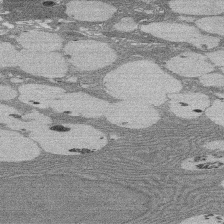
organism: Rat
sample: Salivary granule